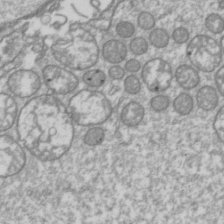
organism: Drosophila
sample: Cell division; meiosis; drosophila spermatocytes